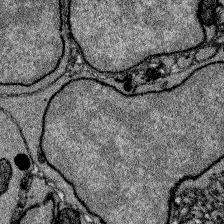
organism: Zebrafish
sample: Larval olfactory bulb